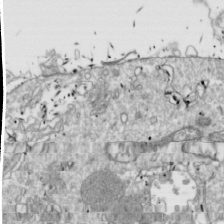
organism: Drosophila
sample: Cell division; meiosis; drosophila spermatocytes